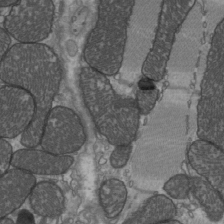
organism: C57BL Mouse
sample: Heart